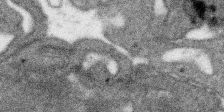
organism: Human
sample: Lung epithelial cells infected with SARS-CoV-2